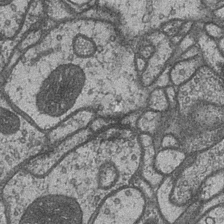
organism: Drosophila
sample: Optic medulla